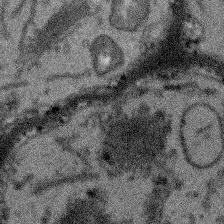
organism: Arabidopsis thaliana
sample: Root tip